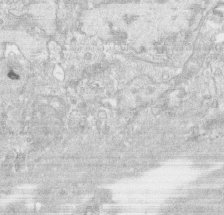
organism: Human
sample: CRL-1474